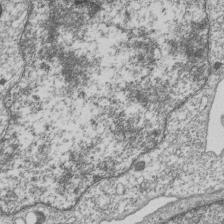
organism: Human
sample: MDA-MB-231 cells